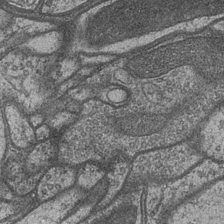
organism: Drosophila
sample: Optic medulla